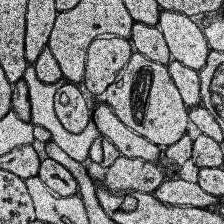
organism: Human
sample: Temporal Lobe